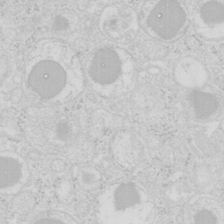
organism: Mouse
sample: Pancreas